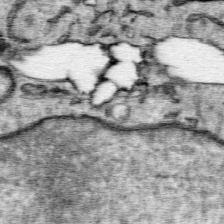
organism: Human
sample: HeLa cells